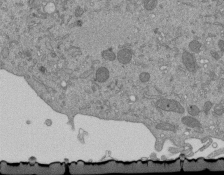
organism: Mouse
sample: ED-1 cell nuclei; centrioles